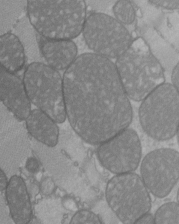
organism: C57BL Mouse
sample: Heart